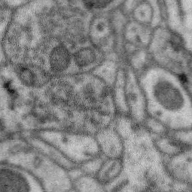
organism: Zebra finch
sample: Brain